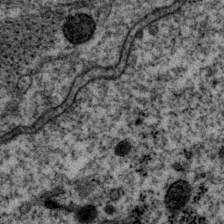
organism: P. pacificus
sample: Pharynx